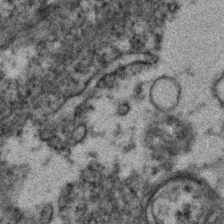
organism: Zebrafish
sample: Zebrafish embryo